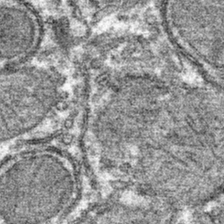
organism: Mouse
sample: Mouse hepatocytes